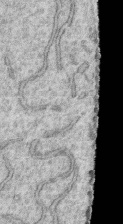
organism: Human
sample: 1205lu cells